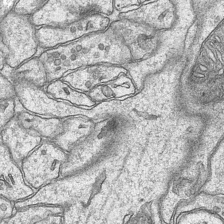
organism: Mouse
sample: CA1 Hippocampus